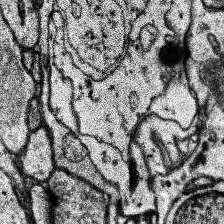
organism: Human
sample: Temporal Lobe